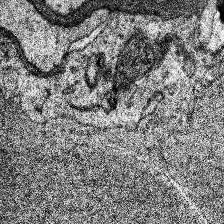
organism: Human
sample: Temporal Lobe